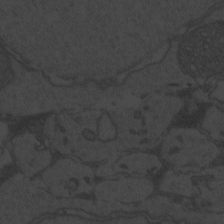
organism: Zebrafish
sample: Macrophage infected with Toxoplasma gondii